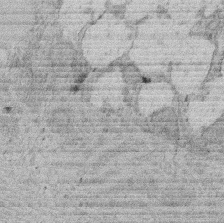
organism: Rat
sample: Salivary granule